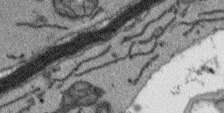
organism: Arabidopsis thaliana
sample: Root tip